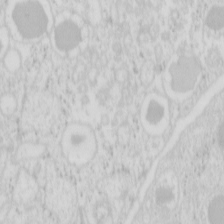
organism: Mouse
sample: Pancreas